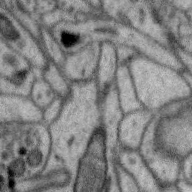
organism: Zebra finch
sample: Brain